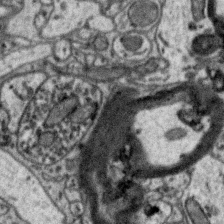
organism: Zebra finch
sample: Brain